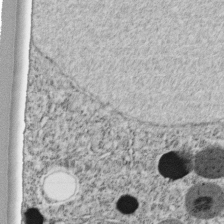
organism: C. elegans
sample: C. elegans embryo early stage